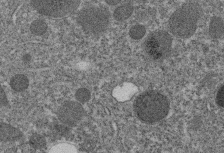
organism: C. elegans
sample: C. elegans embryo early stage